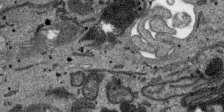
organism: Human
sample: Lung epithelial cells, uninfected (mock) control